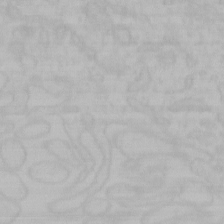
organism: Mouse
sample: Choroid plexus